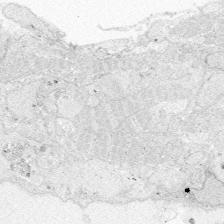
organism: Zebrafish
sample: Whole-Brain